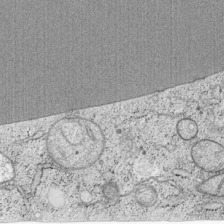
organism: African green monkey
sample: COS-7 cells